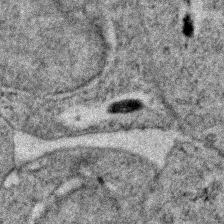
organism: Zebrafish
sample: Zebrafish embryo